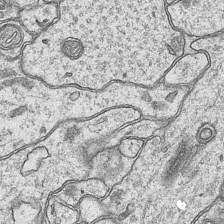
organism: Mouse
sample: CA1 Hippocampus